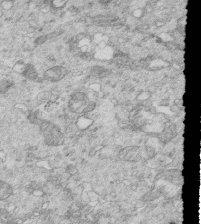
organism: Mouse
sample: Multiciliated cells